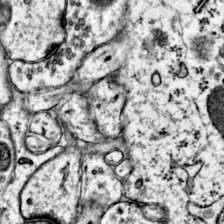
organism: Mouse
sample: Primary visual cortex